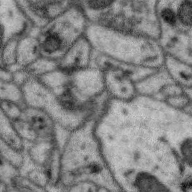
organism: Zebra finch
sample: Brain